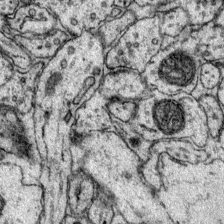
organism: Mouse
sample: Primary visual cortex